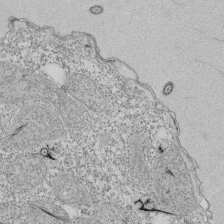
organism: Tetrahymena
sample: Cilia in tetrahymena